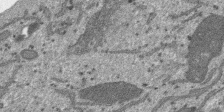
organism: Human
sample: Lung epithelial cells infected with SARS-CoV-2